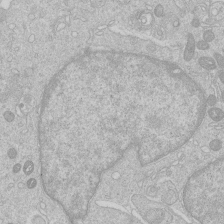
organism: Human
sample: Macrophage cells